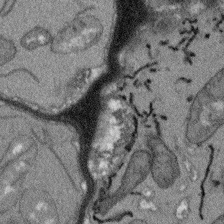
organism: Arabidopsis thaliana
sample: Root tip